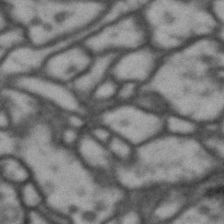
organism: Drosophila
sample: Brain